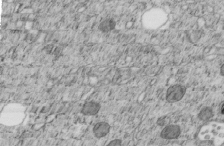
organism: C. elegans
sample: C. elegans embryo early stage